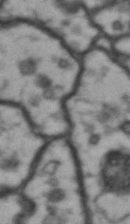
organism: Drosophila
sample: Brain